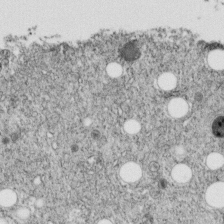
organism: C. elegans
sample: C. elegans embryo early stage